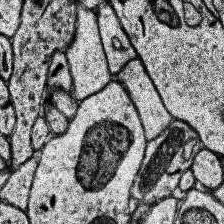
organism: Human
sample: Temporal Lobe